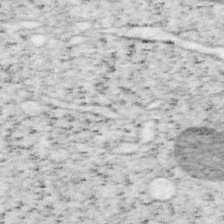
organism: Mouse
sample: OT-I killer T cells with ID8 ovarian cancer cells